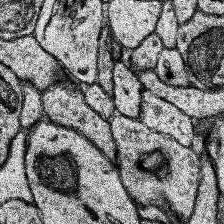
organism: Human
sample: Temporal Lobe